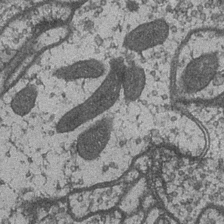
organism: Drosophila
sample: Optic medulla